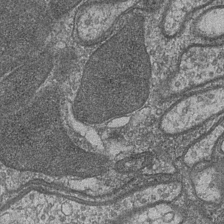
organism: Drosophila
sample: Optic medulla